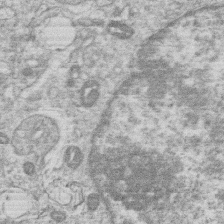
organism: Human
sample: Macrophage cells